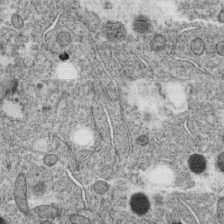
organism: C. elegans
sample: C. elegans oocyte; sperm cells